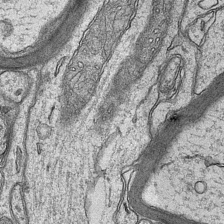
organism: Mouse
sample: CA1 Hippocampus